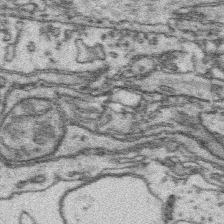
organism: Platynereis dumerilii